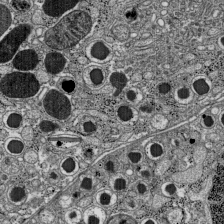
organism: C57BL Mouse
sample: Pancreatic islet